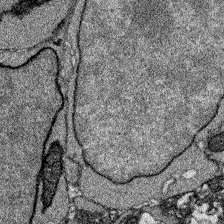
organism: Zebrafish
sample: Larval olfactory bulb